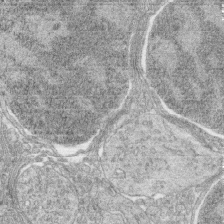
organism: Zebrafish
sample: synaptic ribbons in rod cells and cone cells